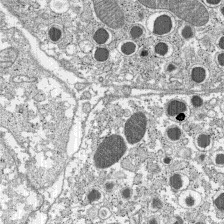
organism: C57BL Mouse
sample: Pancreatic islet